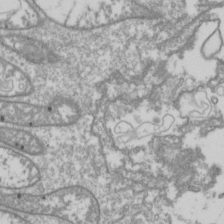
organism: Drosophila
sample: Cell division; meiosis; drosophila spermatocytes